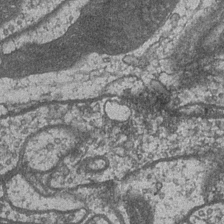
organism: Drosophila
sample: Optic medulla